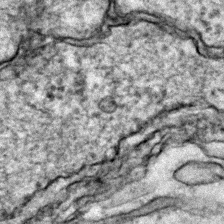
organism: Zebrafish